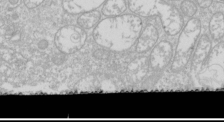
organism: Drosophila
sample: Cell division; meiosis; drosophila spermatocytes